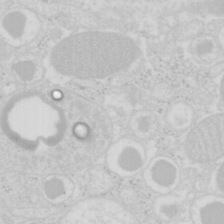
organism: Mouse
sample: Pancreas